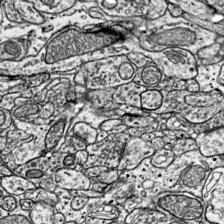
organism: Mouse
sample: Visual Cortex